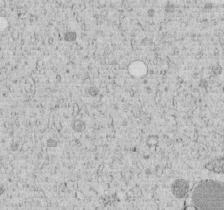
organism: C. elegans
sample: C. elegans embryo early stage